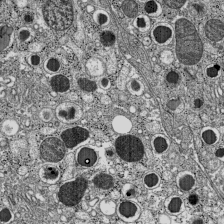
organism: C57BL Mouse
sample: Pancreatic islet